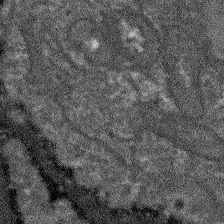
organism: Arabidopsis thaliana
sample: Root tip